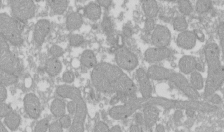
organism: Xenopus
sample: Cilia; centrioles in frog embryo cells